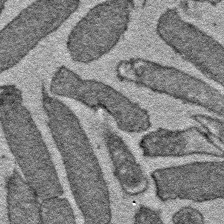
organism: E. coli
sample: E. Coli Bacteria